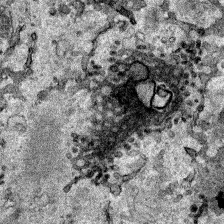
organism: Human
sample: Mitochondria in HCT116 cells